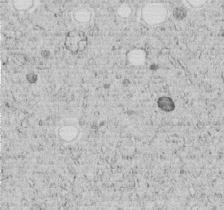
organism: C. elegans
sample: C. elegans embryo early stage